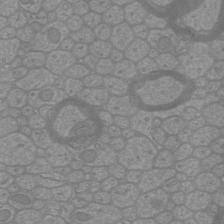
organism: Mouse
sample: Cortical neurons